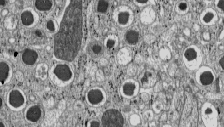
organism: C57BL Mouse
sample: Pancreatic islet